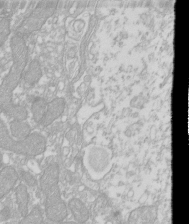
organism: Xenopus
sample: Cilia; centrioles in frog embryo cells